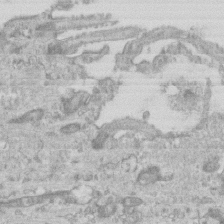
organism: Mouse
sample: Centriole in ependymal cells